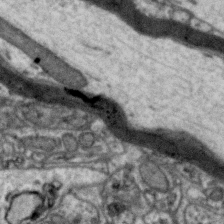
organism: Zebra finch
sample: Brain